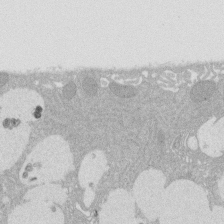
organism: Rat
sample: Salivary granule